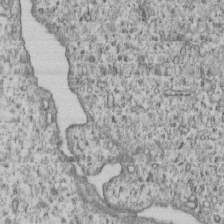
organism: Human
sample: MDA-MB-231 cells